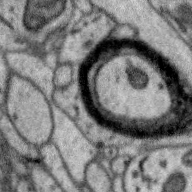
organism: Zebra finch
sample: Brain